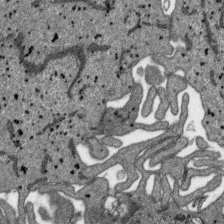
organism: Human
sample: Lung epithelial cells, uninfected (mock) control